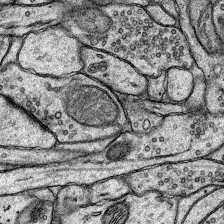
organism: Rat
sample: Hippocampus